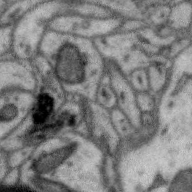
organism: Zebra finch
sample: Brain